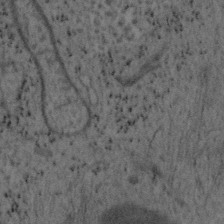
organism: Human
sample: HeLa cells